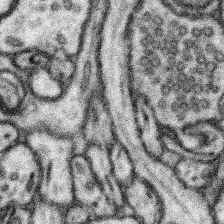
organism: Mouse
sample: Somatosensory cortex neuropil